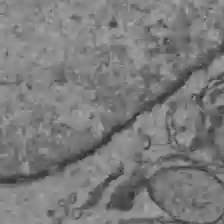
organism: C57BL Mouse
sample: Liver